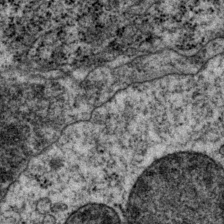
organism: P. pacificus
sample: Pharynx